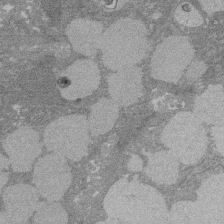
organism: Rat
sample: Salivary granule